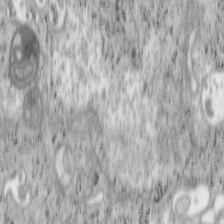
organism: Human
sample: HeLa cells